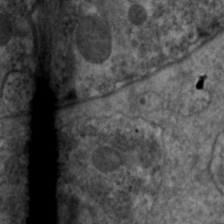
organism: C. elegans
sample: Pharynx